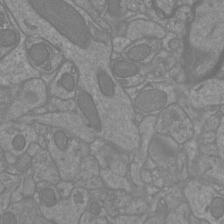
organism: Mouse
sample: Cortical neurons